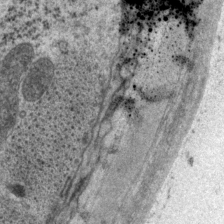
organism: P. pacificus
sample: Pharynx